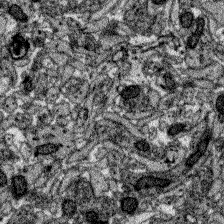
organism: Zebrafish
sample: Larval olfactory bulb